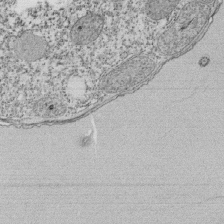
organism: Tetrahymena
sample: Cilia in tetrahymena